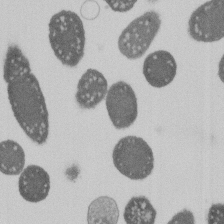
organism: E. coli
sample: Bacterial nucleoid